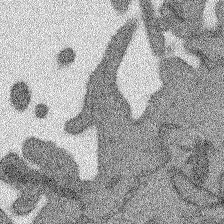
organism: Human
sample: HeLa cells